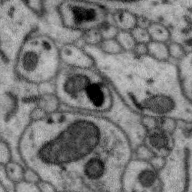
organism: Zebra finch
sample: Brain